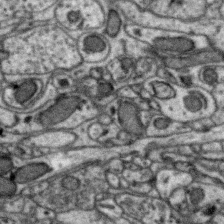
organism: Zebra finch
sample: Brain